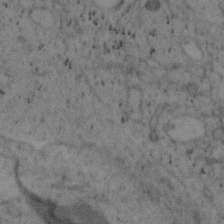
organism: Human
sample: HeLa cells